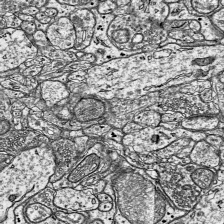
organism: Mouse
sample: Visual Cortex